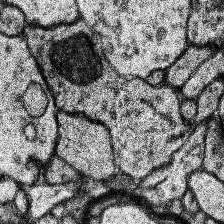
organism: Human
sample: Temporal Lobe